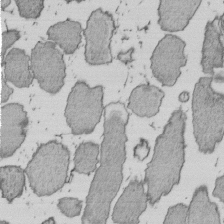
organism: E. coli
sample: Bacterial nucleoid